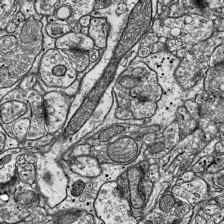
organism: Mouse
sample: Visual Cortex